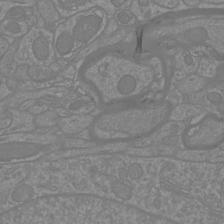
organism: Mouse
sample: Cortical neurons